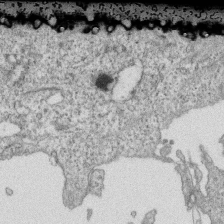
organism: Human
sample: HeLa cell HIV synapse